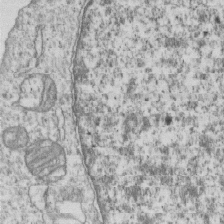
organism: Human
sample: MDA-MB-231 cells